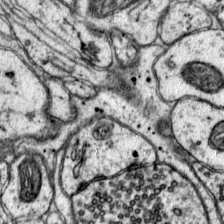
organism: Mouse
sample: Primary visual cortex